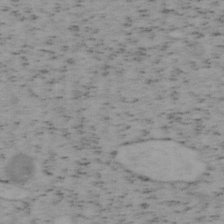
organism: Mouse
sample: OT-I killer T cells with ID8 ovarian cancer cells